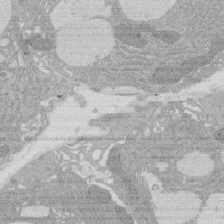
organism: Rat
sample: Salivary granule